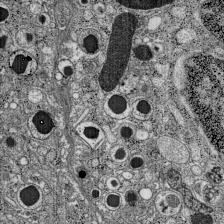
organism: C57BL Mouse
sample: Pancreatic islet